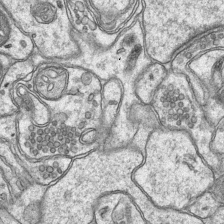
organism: Mouse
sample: CA1 Hippocampus